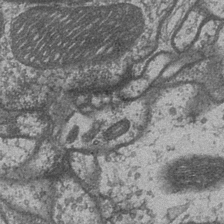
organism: Drosophila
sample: Optic medulla